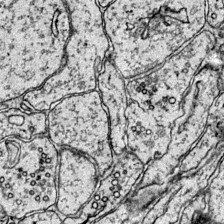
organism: Mouse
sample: Primary visual cortex